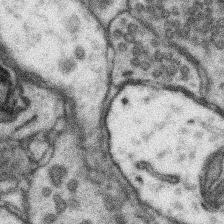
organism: Mouse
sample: Somatosensory cortex neuropil